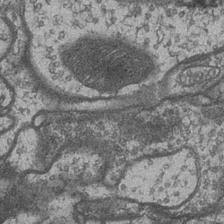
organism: Drosophila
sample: Optic medulla